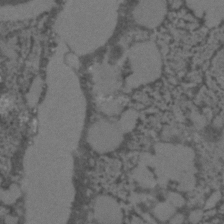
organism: C. elegans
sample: C. elegans embryo